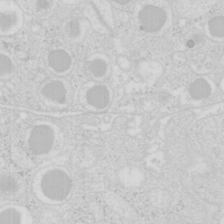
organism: Mouse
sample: Pancreas